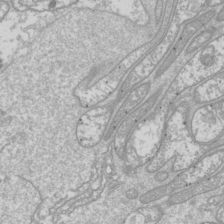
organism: Drosophila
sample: Cell division; meiosis; drosophila spermatocytes